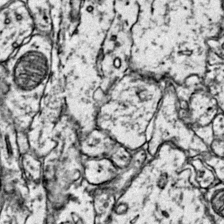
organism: Mouse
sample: Primary visual cortex